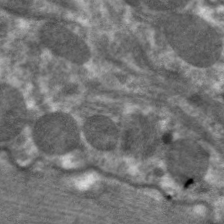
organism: C. elegans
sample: Pharynx